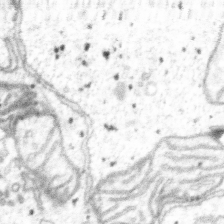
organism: Human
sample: HeLa cells